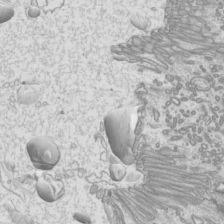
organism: Mouse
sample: Cilia; mouse epididymis